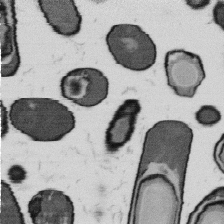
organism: B. subtilis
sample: Bacterial spore